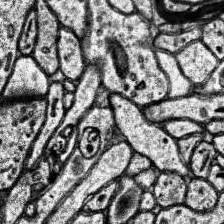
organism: Human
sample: Temporal Lobe